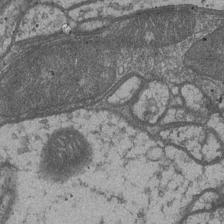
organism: Drosophila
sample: Optic medulla